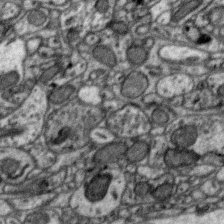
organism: Zebra finch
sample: Brain